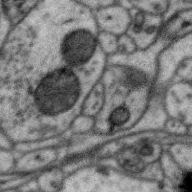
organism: Zebra finch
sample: Brain